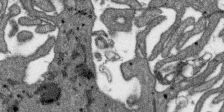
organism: Human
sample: Lung epithelial cells, uninfected (mock) control